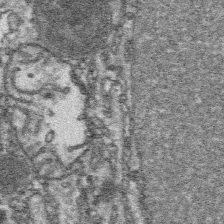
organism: Platynereis dumerilii